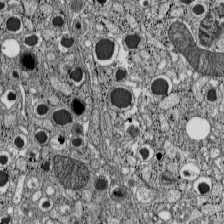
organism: C57BL Mouse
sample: Pancreatic islet